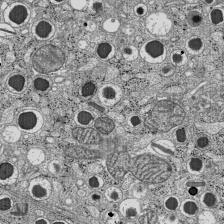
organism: C57BL Mouse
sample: Pancreatic islet